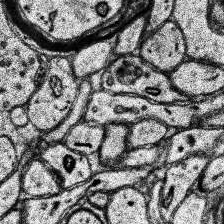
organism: Human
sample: Temporal Lobe